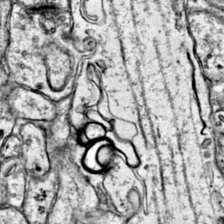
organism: Mouse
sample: Primary visual cortex